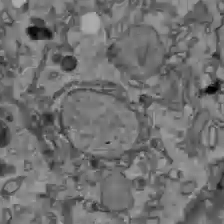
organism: C57BL Mouse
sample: Liver